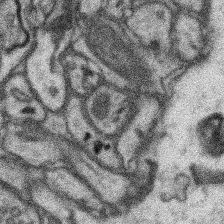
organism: Mouse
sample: Somatosensory cortex neuropil